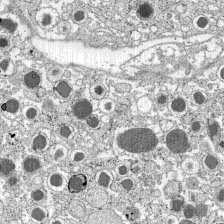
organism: C57BL Mouse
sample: Pancreatic islet